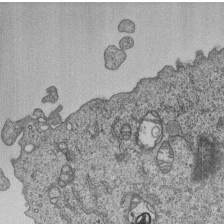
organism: Human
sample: MDA-MB-231 cells